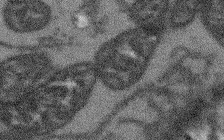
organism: Arabidopsis thaliana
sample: Root tip